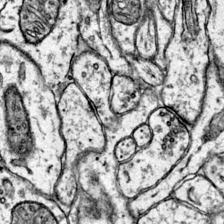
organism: Mouse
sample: Primary visual cortex